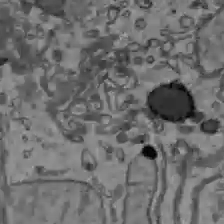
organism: C57BL Mouse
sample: Liver